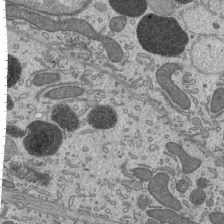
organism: Mouse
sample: Mouse epididymis efferent ductule cilia